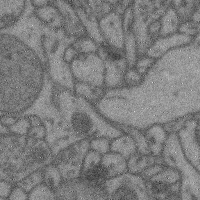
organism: Mouse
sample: Cerebral cortex